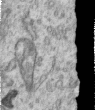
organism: Human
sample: Centriole in RPE cells